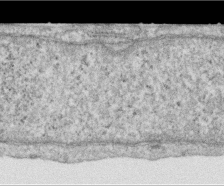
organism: Human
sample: Centriole in RPE cells